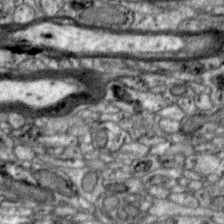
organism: Zebra finch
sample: Brain